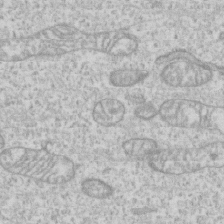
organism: Human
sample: CRL-1474